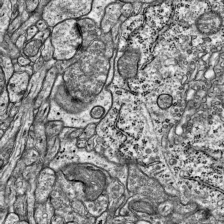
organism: Mouse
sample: Visual Cortex